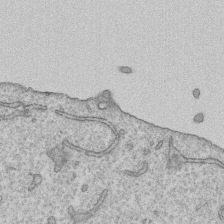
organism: Human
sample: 1205lu cells